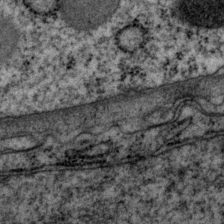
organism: P. pacificus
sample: Pharynx